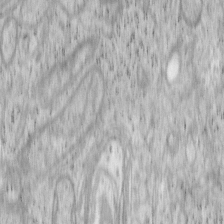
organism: Human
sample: HeLa cells